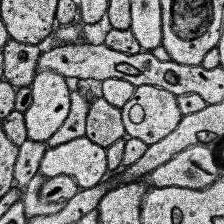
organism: Human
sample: Temporal Lobe